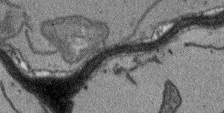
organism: Arabidopsis thaliana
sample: Root tip